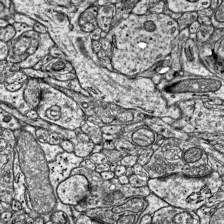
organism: Mouse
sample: Visual Cortex